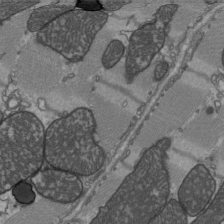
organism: C57BL Mouse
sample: Heart